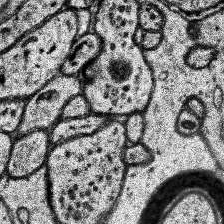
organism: Human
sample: Temporal Lobe